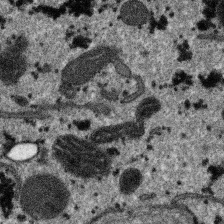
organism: Human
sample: Lung epithelial cells infected with SARS-CoV-2